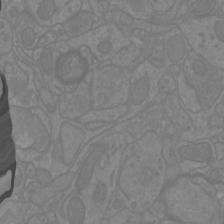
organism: Mouse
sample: Cortical neurons